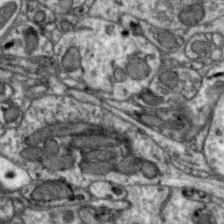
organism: Zebra finch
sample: Brain